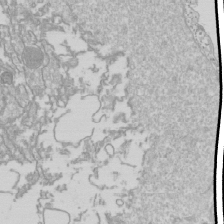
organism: Drosophila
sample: Cell division; meiosis; drosophila spermatocytes